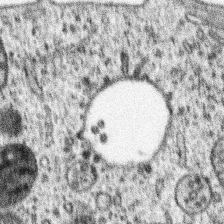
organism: Human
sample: HeLa cells